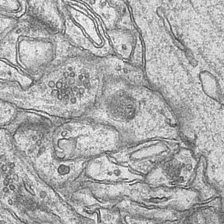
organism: Mouse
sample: CA1 Hippocampus